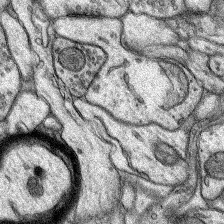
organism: Rat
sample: Hippocampus